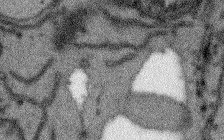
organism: Arabidopsis thaliana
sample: Root tip